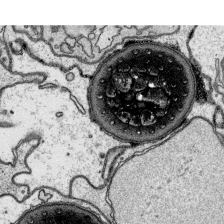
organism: Platynereis dumerilii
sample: Parapodia